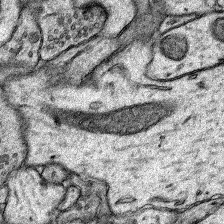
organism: Rat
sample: Hippocampus